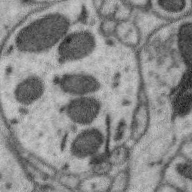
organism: Zebra finch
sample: Brain